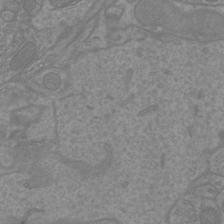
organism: Mouse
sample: Cortical neurons